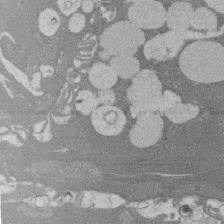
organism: Rat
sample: Salivary granule